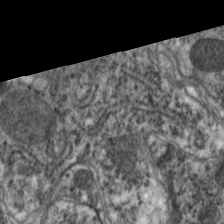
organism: C. elegans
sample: Pharynx